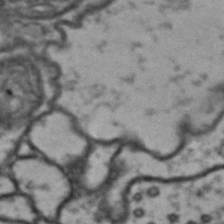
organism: Drosophila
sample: Brain